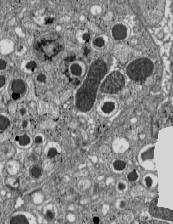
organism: C57BL Mouse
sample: Pancreatic islet